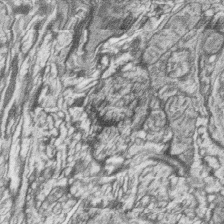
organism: Zebrafish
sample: synaptic ribbons in rod cells and cone cells